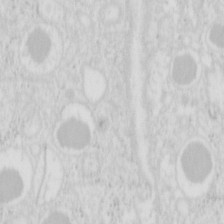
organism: Mouse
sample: Pancreas